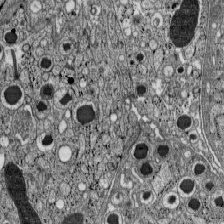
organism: C57BL Mouse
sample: Pancreatic islet